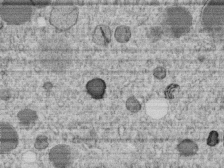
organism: C. elegans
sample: C. elegans embryo early stage